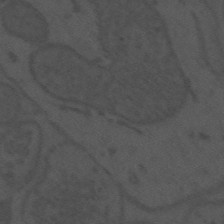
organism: Mouse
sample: Suprachiasmatic nucleus